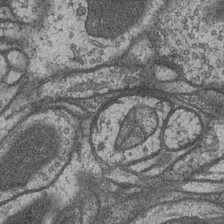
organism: Drosophila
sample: Optic medulla